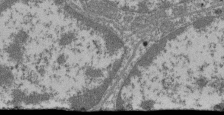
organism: Mouse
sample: Glomerulus